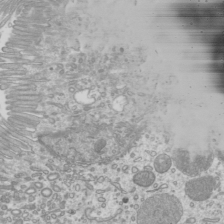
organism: Mouse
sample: Cilia; mouse epididymis